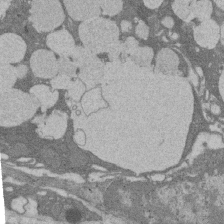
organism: Rat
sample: Salivary granule